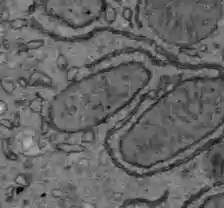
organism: C57BL Mouse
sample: Liver